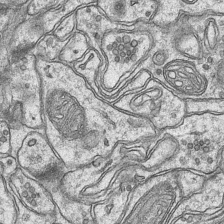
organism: Mouse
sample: CA1 Hippocampus